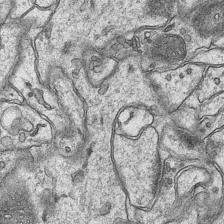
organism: Mouse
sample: CA1 Hippocampus